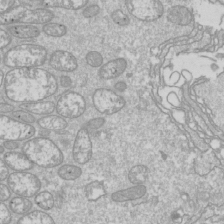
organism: Drosophila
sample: Cell division; meiosis; drosophila spermatocytes